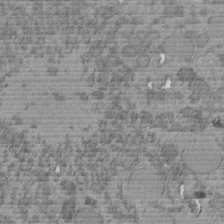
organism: C. elegans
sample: C. elegans embryo early stage